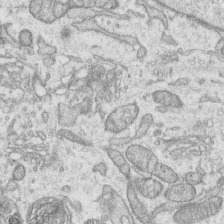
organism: Human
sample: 1205lu cells